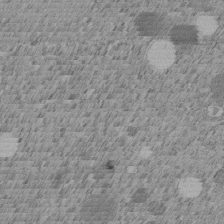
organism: C. elegans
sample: C. elegans embryo early stage